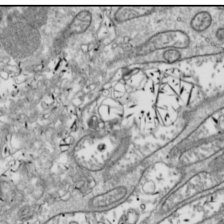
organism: Drosophila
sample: Cell division; meiosis; drosophila spermatocytes